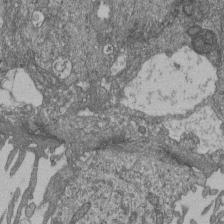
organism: Human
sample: Retinal organoid Rod and Cone cells